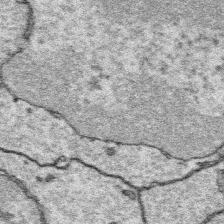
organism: Platynereis dumerilii